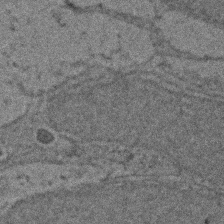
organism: Zebrafish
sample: Zebrafish embryo